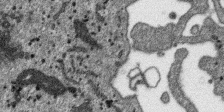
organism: Human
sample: Lung epithelial cells infected with SARS-CoV-2